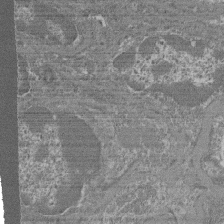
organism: Mouse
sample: Glomerulus